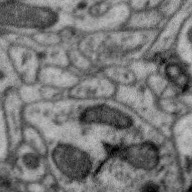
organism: Zebra finch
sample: Brain